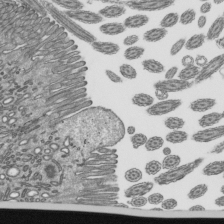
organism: Mouse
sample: Mouse epididymis efferent ductule cilia